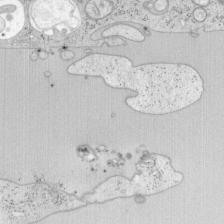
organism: Mouse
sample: OT-I killer T cells with ID8 ovarian cancer cells